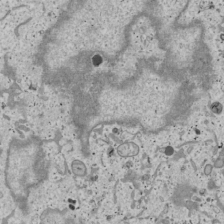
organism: Human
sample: Mitochondria in U2OS cells